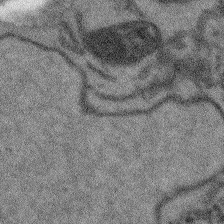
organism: Arabidopsis thaliana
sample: Root tip